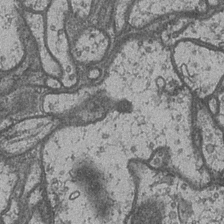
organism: Drosophila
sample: Optic medulla